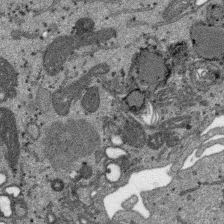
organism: Human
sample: Lung epithelial cells infected with SARS-CoV-2